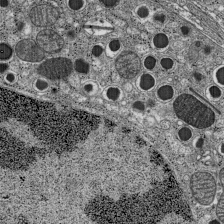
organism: C57BL Mouse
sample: Pancreatic islet